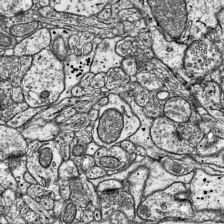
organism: Mouse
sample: Visual Cortex